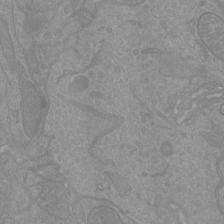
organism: Mouse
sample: Cortical neurons